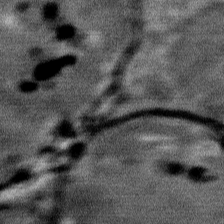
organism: Mouse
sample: Mouse Salivary gland